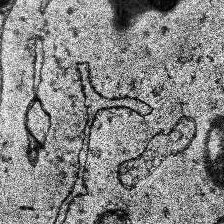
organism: Human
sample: Temporal Lobe